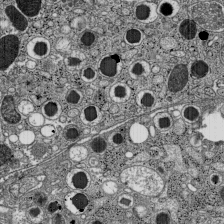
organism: C57BL Mouse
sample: Pancreatic islet